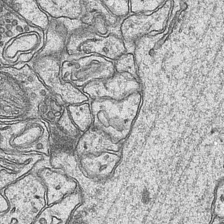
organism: Mouse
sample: CA1 Hippocampus